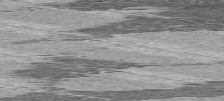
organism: C57BL Mouse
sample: Heart